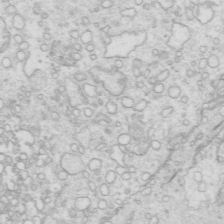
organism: Mouse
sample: Multiciliated cells